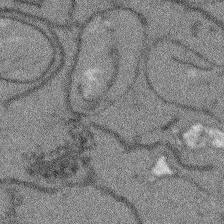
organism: Arabidopsis thaliana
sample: Root tip